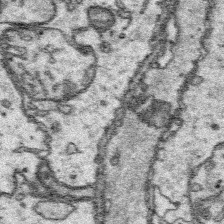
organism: Platynereis dumerilii